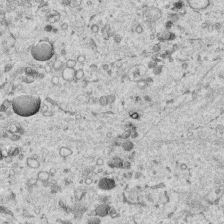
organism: Human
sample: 1205lu cells